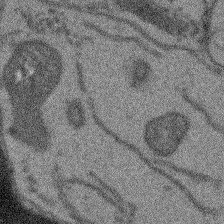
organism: Arabidopsis thaliana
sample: Root tip